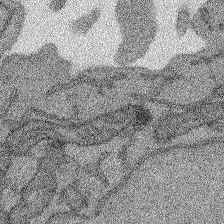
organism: Human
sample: HeLa cells